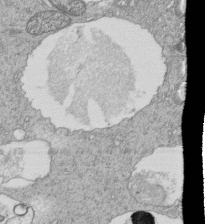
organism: Tetrahymena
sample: Cilia in tetrahymena